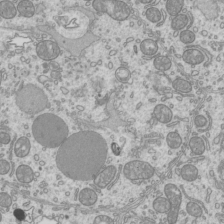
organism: Mouse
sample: Cilia; mouse epididymis